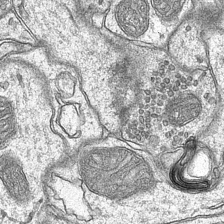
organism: Mouse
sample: CA1 Hippocampus